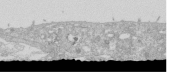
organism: Human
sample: Caco-2 cells